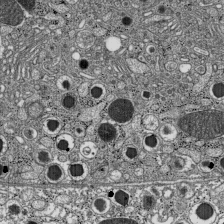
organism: C57BL Mouse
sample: Pancreatic islet